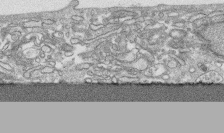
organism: Human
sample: CRL-1474